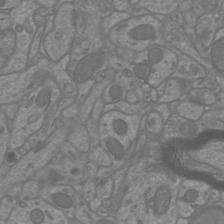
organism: Mouse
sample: Cortical neurons